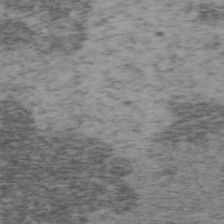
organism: Mouse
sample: OT-I killer T cells with ID8 ovarian cancer cells